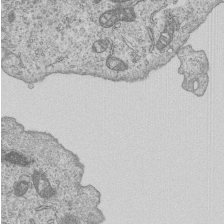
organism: Human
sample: MDA-MB-231 cells